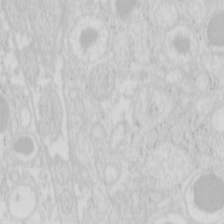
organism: Mouse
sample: Pancreas